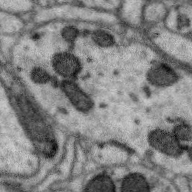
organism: Zebra finch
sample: Brain